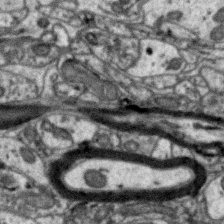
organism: Zebra finch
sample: Brain